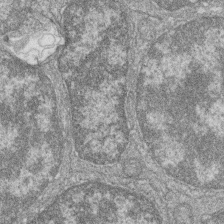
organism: Zebrafish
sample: Cilia; retinal pigment epithelium